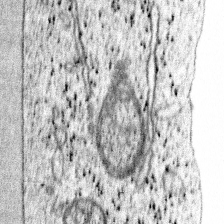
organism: Human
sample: HeLa cells